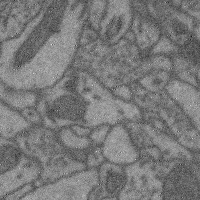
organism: Mouse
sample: Cerebral cortex